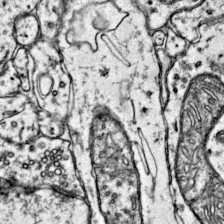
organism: Mouse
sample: Primary visual cortex